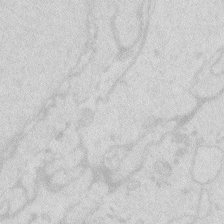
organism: Zebrafish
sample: Macrophage